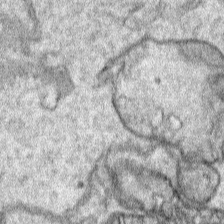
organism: Human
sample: Mitochondria in HCT116 cells